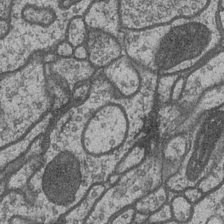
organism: Drosophila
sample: Optic medulla